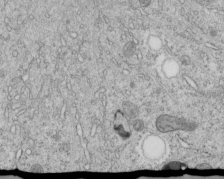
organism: C. elegans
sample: C. elegans embryo early stage